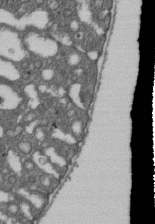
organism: Drosophila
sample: Nephrocyte